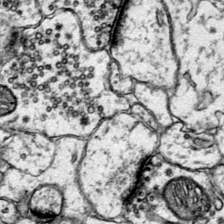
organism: Mouse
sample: Primary visual cortex